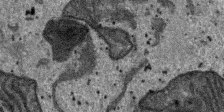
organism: Human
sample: Lung epithelial cells, uninfected (mock) control